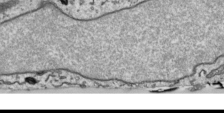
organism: Human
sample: Mitochondria in HCT116 cells